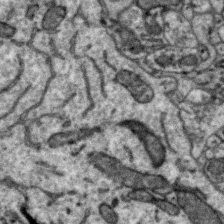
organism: Zebra finch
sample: Brain